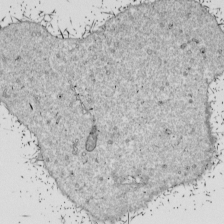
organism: Drosophila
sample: Cell division; meiosis; drosophila spermatocytes